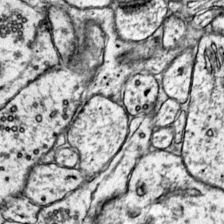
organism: Mouse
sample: Primary visual cortex